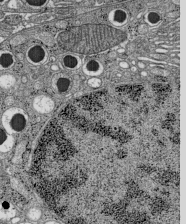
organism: C57BL Mouse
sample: Pancreatic islet